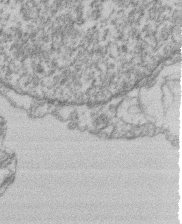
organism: Mouse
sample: T cell stromal cell synapse